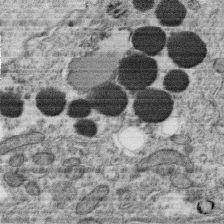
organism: C. elegans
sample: C. elegans oocyte; sperm cells